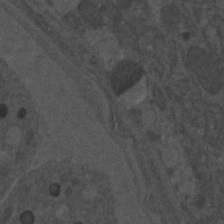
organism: C. elegans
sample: C. elegans embryo